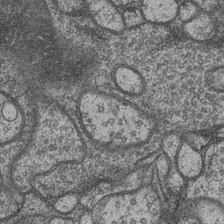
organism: Drosophila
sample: Optic medulla